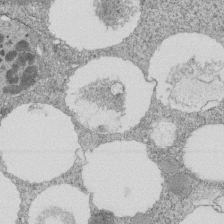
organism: Tetrahymena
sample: Cilia in tetrahymena